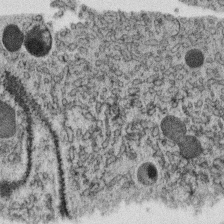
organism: C. elegans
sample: C. elegans oocyte; sperm cells